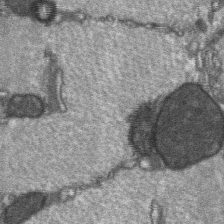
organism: C57BL Mouse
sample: Soleus